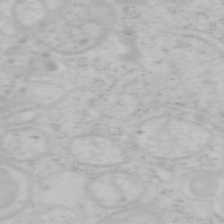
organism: Mouse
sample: OT-I killer T cells with ID8 ovarian cancer cells